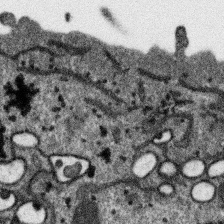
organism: Human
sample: Lung epithelial cells infected with SARS-CoV-2